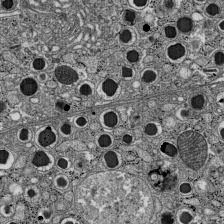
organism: C57BL Mouse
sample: Pancreatic islet